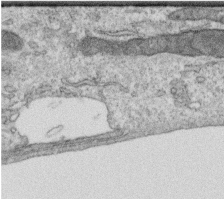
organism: Human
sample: Centriole in RPE cells